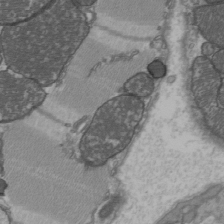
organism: C57BL Mouse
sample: Heart